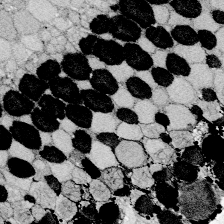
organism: Zebrafish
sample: Whole-Brain